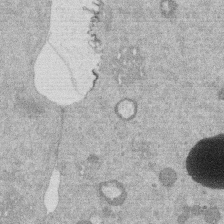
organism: Mouse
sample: Dividing mouse embryo 1 cell stage